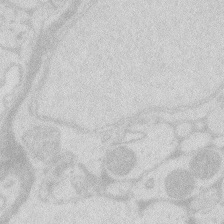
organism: Zebrafish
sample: Macrophage